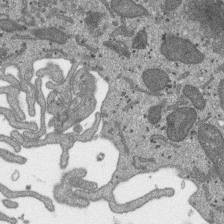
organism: Human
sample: Lung epithelial cells infected with SARS-CoV-2